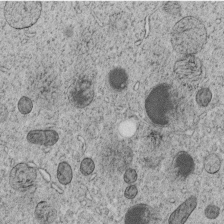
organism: C. elegans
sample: C. elegans embryo early stage